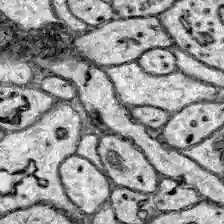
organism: Zebrafish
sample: Brain